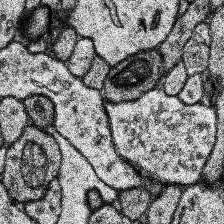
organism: Human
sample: Temporal Lobe